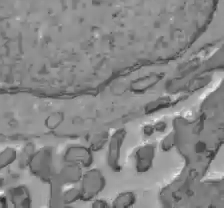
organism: C57BL Mouse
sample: Liver